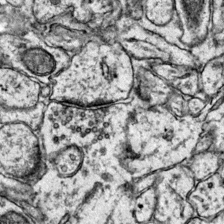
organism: Mouse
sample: Primary visual cortex